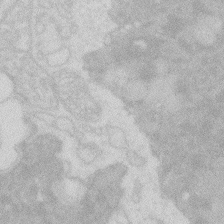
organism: Zebrafish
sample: Macrophage